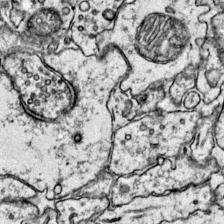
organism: Mouse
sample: Primary visual cortex